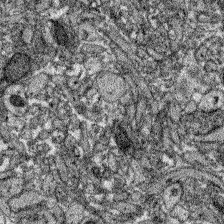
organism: Zebrafish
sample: Larval olfactory bulb